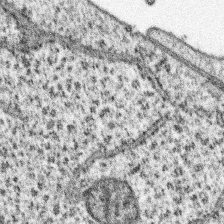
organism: Human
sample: HeLa cells